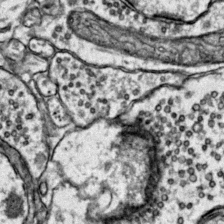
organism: Mouse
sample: Primary visual cortex